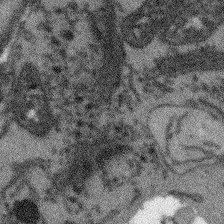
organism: Arabidopsis thaliana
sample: Root tip